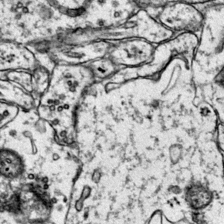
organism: Mouse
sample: Primary visual cortex